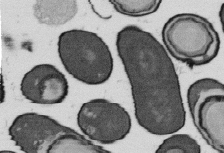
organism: B. subtilis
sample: Bacterial spore